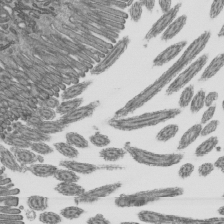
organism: Mouse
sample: Mouse epididymis efferent ductule cilia